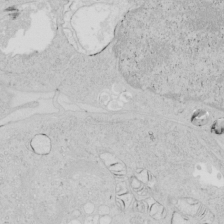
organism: Human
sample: Mitochondria in HCT116 cells